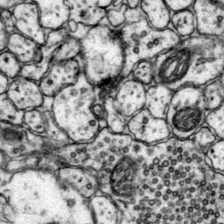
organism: Mouse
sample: Primary visual cortex